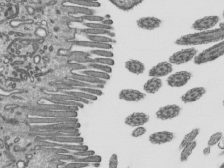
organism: Mouse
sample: Mouse epididymis efferent ductule cilia